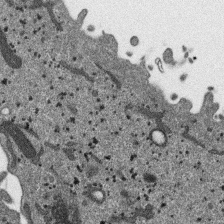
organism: Human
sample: Lung epithelial cells infected with SARS-CoV-2